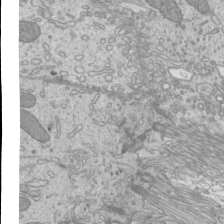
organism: Mouse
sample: Cilia; mouse epididymis